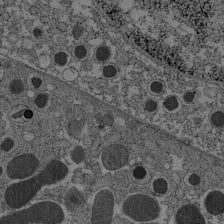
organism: C57BL Mouse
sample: Pancreatic islet